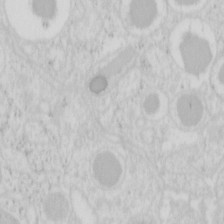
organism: Mouse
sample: Pancreas